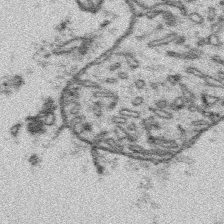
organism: Platynereis dumerilii